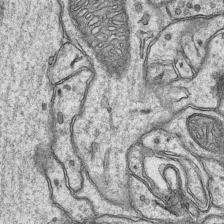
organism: Mouse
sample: CA1 Hippocampus